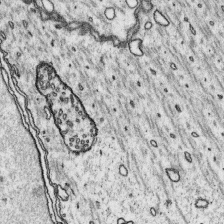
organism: Platynereis dumerilii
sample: Parapodia